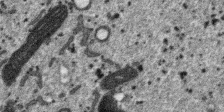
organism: Human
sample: Lung epithelial cells infected with SARS-CoV-2